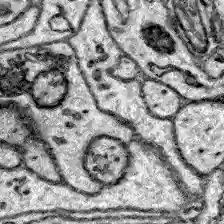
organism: Zebrafish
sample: Brain